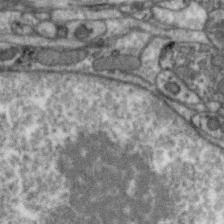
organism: Zebra finch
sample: Brain